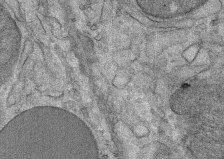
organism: Mouse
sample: Mouse Salivary gland